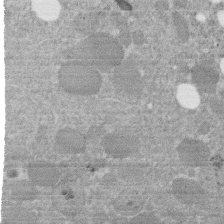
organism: C. elegans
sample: C. elegans embryo early stage